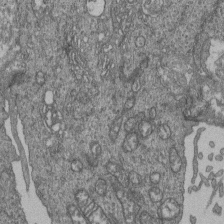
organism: Human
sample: Retinal organoid Rod and Cone cells